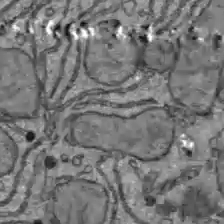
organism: C57BL Mouse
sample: Liver